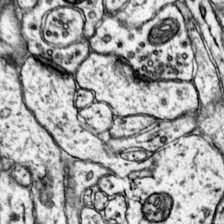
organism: Mouse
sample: Primary visual cortex